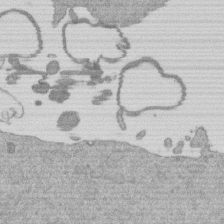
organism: Mouse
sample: Dividing mouse embryo 1 cell stage